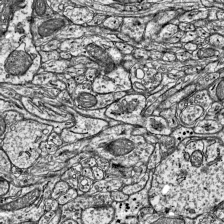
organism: Mouse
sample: Visual Cortex